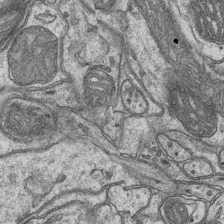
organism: Mouse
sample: CA1 Hippocampus